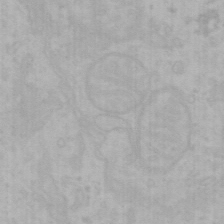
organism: Mouse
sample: Choroid plexus